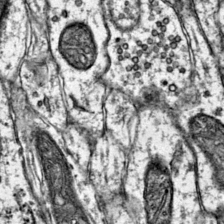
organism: Mouse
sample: Primary visual cortex